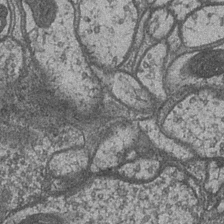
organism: Drosophila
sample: Optic medulla